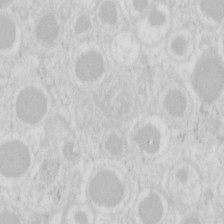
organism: Mouse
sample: Pancreas